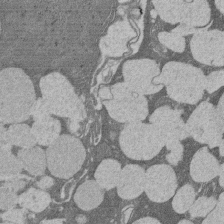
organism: Rat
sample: Salivary granule